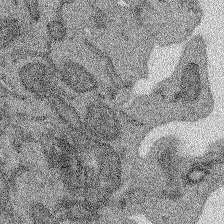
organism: Human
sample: HeLa cells